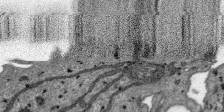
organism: Human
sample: Lung epithelial cells, uninfected (mock) control